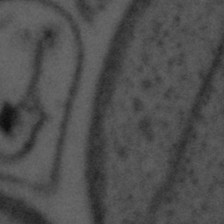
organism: Tuwongella immobilis